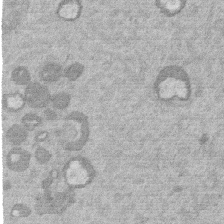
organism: Mouse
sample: Dividing mouse embryo 1 cell stage